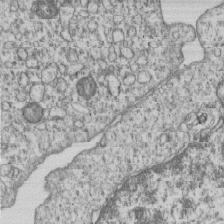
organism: Human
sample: MDA-MB-231 cells